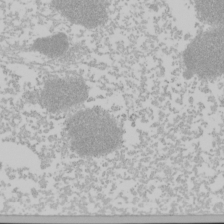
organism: Mouse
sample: Cancer cell death in ED-1 cells